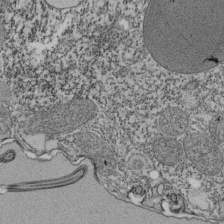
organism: Tetrahymena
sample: Cilia in tetrahymena